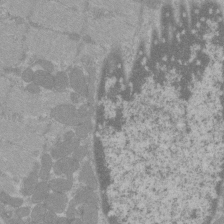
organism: C57BL Mouse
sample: Tibialis anterior muscle cell